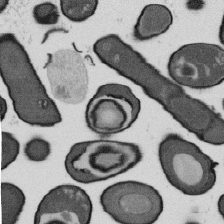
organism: B. subtilis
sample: Bacterial spore